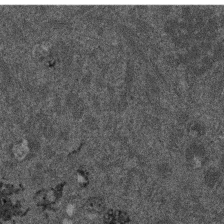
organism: Mouse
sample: Dividing mouse embryo 1 cell stage